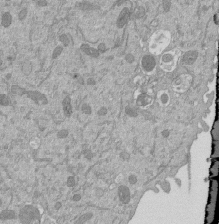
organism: Mouse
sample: ED-1 cell nuclei; centrioles